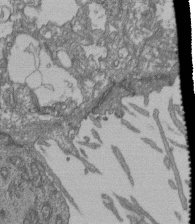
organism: Human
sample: Retinal organoid Rod and Cone cells